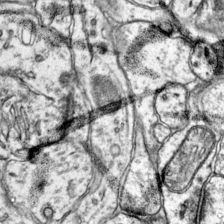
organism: Mouse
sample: Primary visual cortex